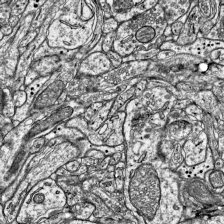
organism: Mouse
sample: Visual Cortex